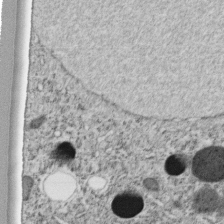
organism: C. elegans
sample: C. elegans embryo early stage